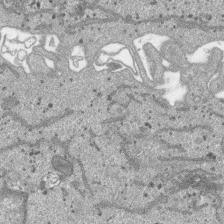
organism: Human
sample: Lung epithelial cells infected with SARS-CoV-2